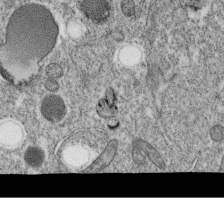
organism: C. elegans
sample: C. elegans oocyte; sperm cells